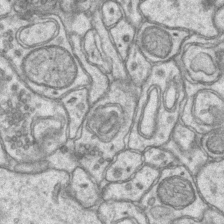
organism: Mouse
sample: CA1 Hippocampus